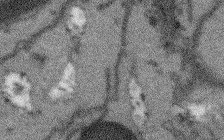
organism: Arabidopsis thaliana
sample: Root tip